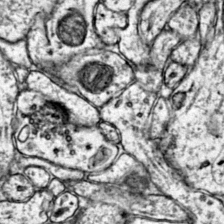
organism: Mouse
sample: Primary visual cortex